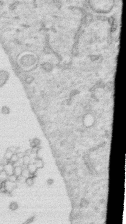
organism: Human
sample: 1205lu cells